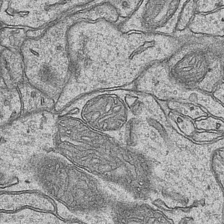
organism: Mouse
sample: CA1 Hippocampus